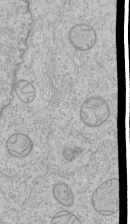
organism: Human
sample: Mitochondria in HCT116 cells